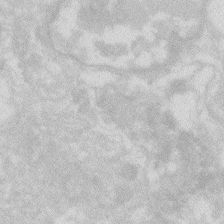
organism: Zebrafish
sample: Macrophage